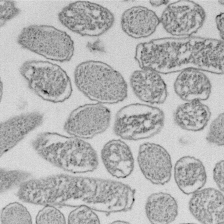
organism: E. coli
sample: Bacterial nucleoid